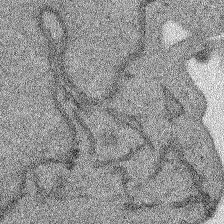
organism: Human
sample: HeLa cells